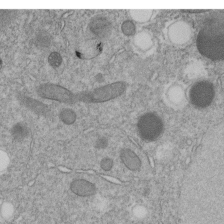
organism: C. elegans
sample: C. elegans embryo early stage